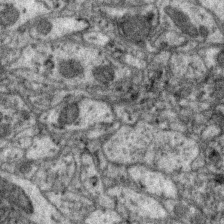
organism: Zebra finch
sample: Brain